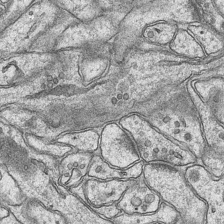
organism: Mouse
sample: CA1 Hippocampus